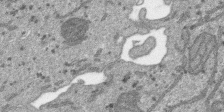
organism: Human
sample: Lung epithelial cells infected with SARS-CoV-2